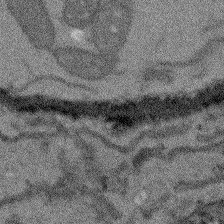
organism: Arabidopsis thaliana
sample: Root tip